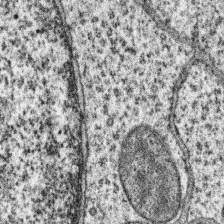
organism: Human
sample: HeLa cells